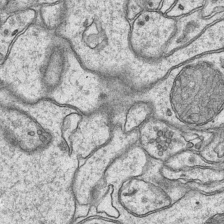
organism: Mouse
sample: CA1 Hippocampus